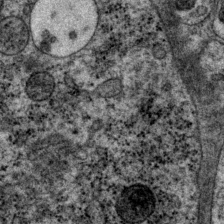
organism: P. pacificus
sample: Pharynx